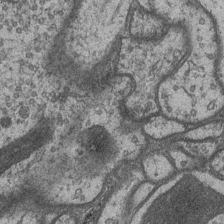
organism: Drosophila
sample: Optic medulla